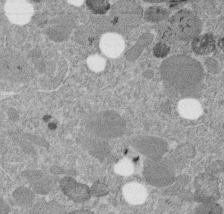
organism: C. elegans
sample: C. elegans embryo early stage